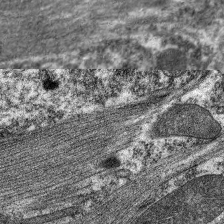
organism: C. elegans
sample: Pharynx